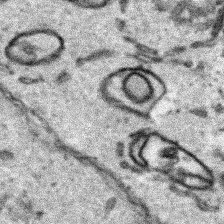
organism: Human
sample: Mitochondria in HCT116 cells